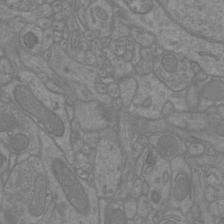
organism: Mouse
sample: Cortical neurons